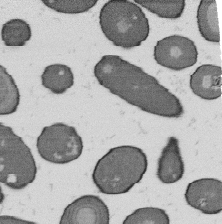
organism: B. subtilis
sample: Bacterial spore